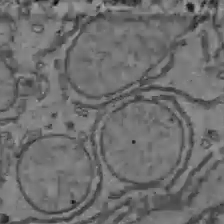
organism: C57BL Mouse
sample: Liver